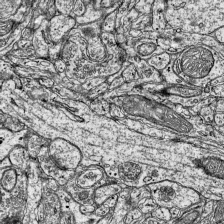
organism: Mouse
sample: Visual Cortex